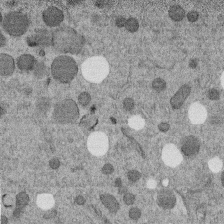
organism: C. elegans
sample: C. elegans embryo early stage